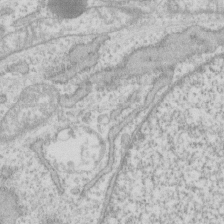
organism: Human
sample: Fibroblast cells